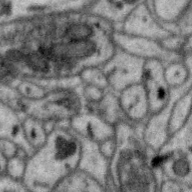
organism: Zebra finch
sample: Brain